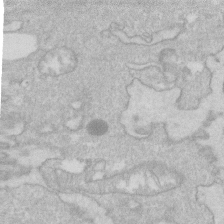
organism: Human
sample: Fibroblast cells